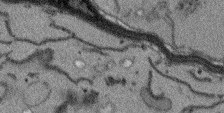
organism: Arabidopsis thaliana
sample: Root tip